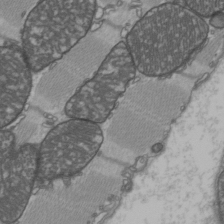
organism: C57BL Mouse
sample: Heart